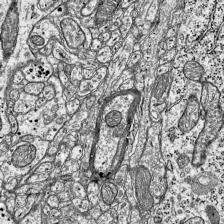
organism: Mouse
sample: Visual Cortex